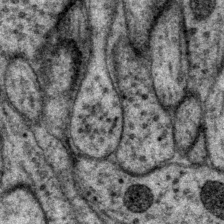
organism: P. pacificus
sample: Pharynx